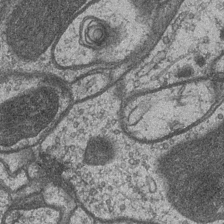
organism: Drosophila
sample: Optic medulla